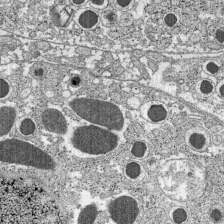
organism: C57BL Mouse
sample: Pancreatic islet